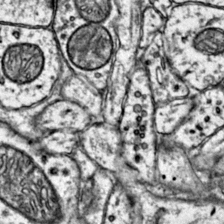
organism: Mouse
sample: Primary visual cortex